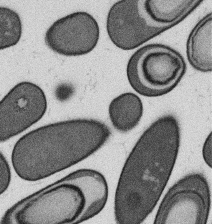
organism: B. subtilis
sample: Bacterial spore